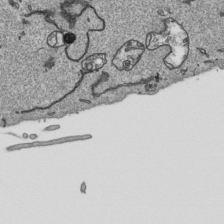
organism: Human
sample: Mitochondria in HCT116 cells